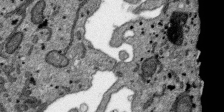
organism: Human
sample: Lung epithelial cells, uninfected (mock) control